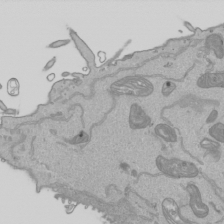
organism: Human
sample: Mitochondria in HCT116 cells